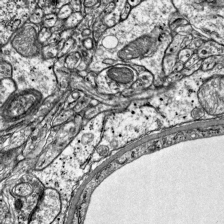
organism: Mouse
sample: Visual Cortex